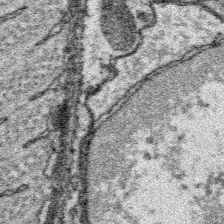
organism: Platynereis dumerilii